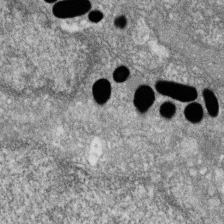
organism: Zebrafish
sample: Cilia; retinal pigment epithelium